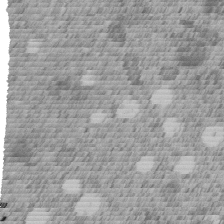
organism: C. elegans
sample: C. elegans embryo early stage